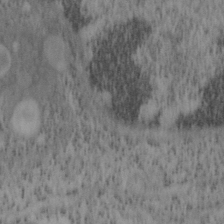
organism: Mouse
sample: OT-I killer T cells with ID8 ovarian cancer cells